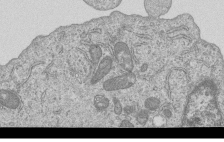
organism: Human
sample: MDA-MB-231 cells